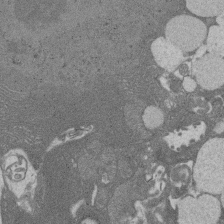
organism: Rat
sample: Salivary granule